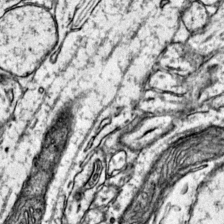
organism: Mouse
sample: Primary visual cortex